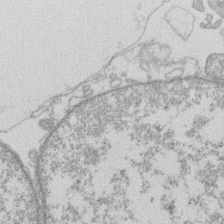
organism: Human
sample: Macrophage cells